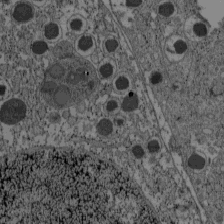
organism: C57BL Mouse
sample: Pancreatic islet